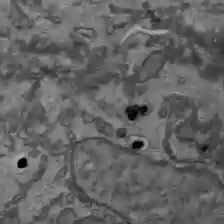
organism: C57BL Mouse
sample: Liver